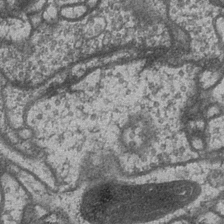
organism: Drosophila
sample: Optic medulla